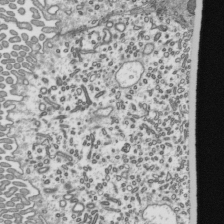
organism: Mouse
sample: Mouse epididymis efferent ductule cilia